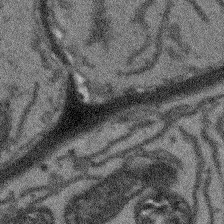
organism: Arabidopsis thaliana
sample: Root tip